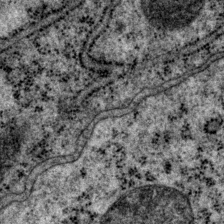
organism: P. pacificus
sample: Pharynx